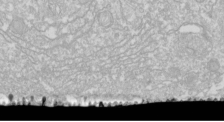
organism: Drosophila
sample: Cell division; meiosis; drosophila spermatocytes